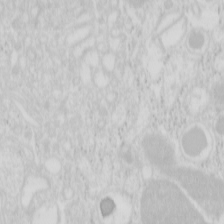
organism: Mouse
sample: Pancreas